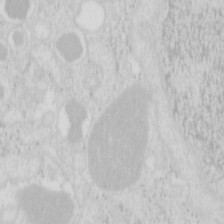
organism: Mouse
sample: Pancreas